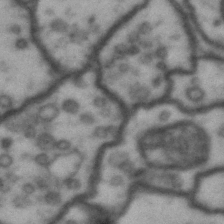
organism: Drosophila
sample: Brain